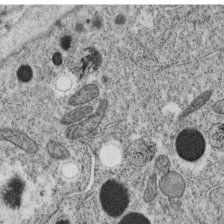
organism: C. elegans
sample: C. elegans oocyte; sperm cells